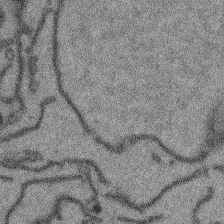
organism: Arabidopsis thaliana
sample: Root tip